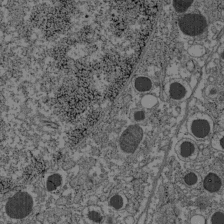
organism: C57BL Mouse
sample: Pancreatic islet